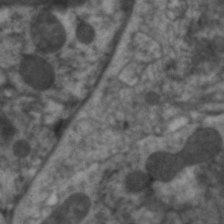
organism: C. elegans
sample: Pharynx